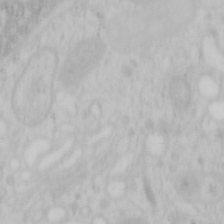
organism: Mouse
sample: OT-I killer T cells with ID8 ovarian cancer cells